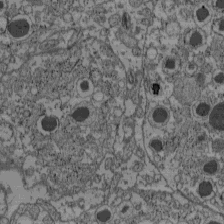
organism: C57BL Mouse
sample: Pancreatic islet